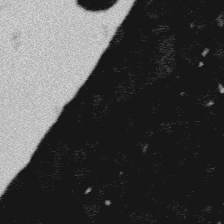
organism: Platynereis dumerilii